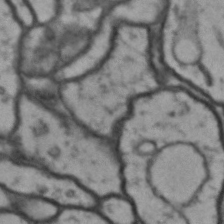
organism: Drosophila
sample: Brain